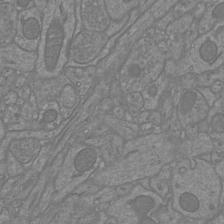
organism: Mouse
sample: Cortical neurons